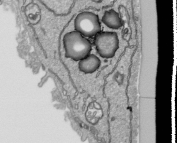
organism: Human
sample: Mitochondria in HCT116 cells